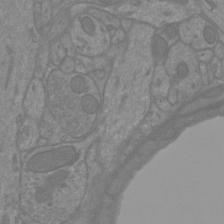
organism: Mouse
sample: Cortical neurons